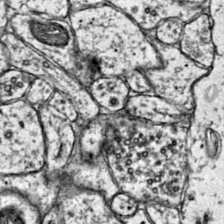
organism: Mouse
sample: Primary visual cortex